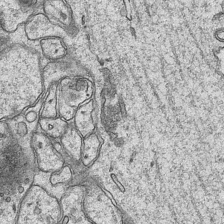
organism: Mouse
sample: CA1 Hippocampus